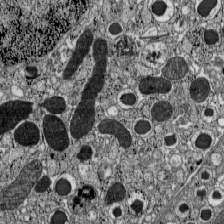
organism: C57BL Mouse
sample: Pancreatic islet